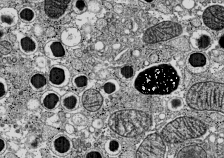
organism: C57BL Mouse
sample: Pancreatic islet